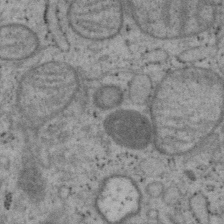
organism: Human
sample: HeLa cells